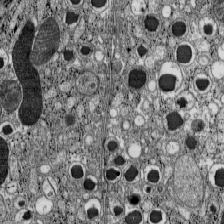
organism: C57BL Mouse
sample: Pancreatic islet